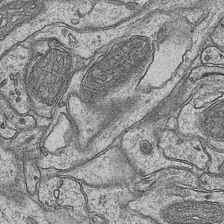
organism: Mouse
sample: CA1 Hippocampus